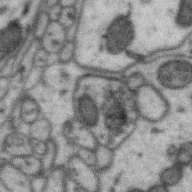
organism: Zebra finch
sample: Brain